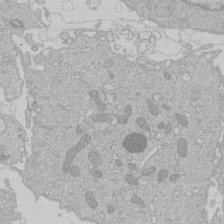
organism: Human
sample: Macrophage cells